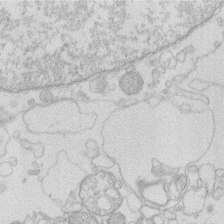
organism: Human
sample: Macrophage cells